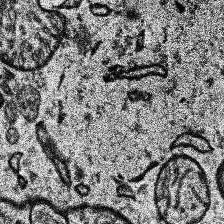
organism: Human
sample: Temporal Lobe